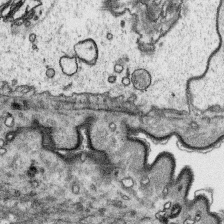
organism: Platynereis dumerilii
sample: Parapodia